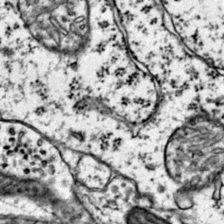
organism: Mouse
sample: Primary visual cortex